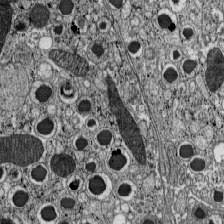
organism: C57BL Mouse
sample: Pancreatic islet